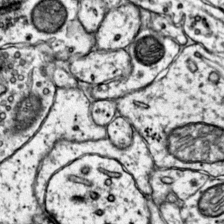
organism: Mouse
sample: Primary visual cortex